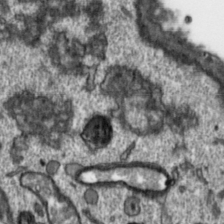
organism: Toxoplasma gondii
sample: Parasites in a vacuole inside a host cell